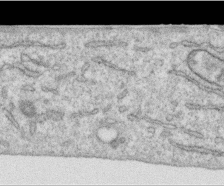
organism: Human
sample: Centriole in RPE cells